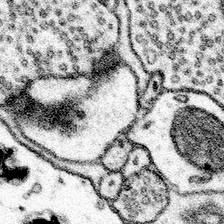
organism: Mouse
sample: Somatosensory cortex neuropil